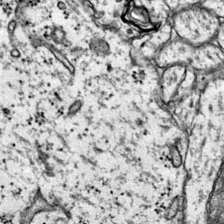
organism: Mouse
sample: Primary visual cortex